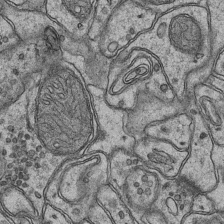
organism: Mouse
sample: CA1 Hippocampus